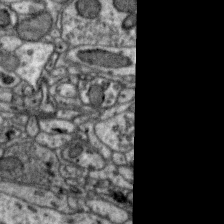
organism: Zebra finch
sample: Brain